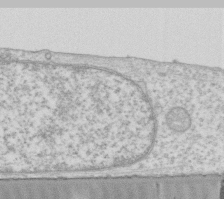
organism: Human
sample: Fibroblast cells